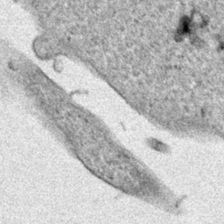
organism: Human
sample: Mitochondria in HCT116 cells